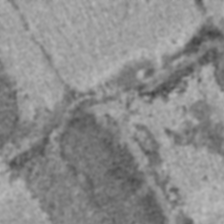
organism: C57BL Mouse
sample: Heart